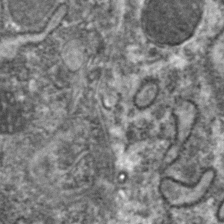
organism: Zebrafish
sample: Zebrafish embryo